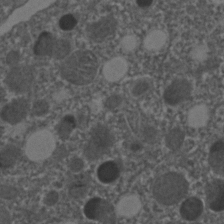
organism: C. elegans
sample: C. elegans embryo